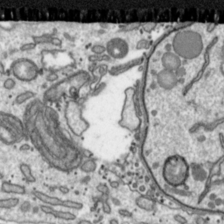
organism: Toxoplasma gondii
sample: Parasites in a vacuole inside a host cell